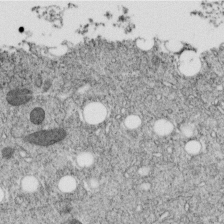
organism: C. elegans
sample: C. elegans embryo early stage